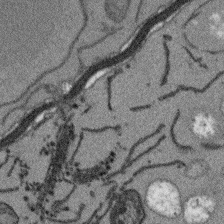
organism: Arabidopsis thaliana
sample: Root tip